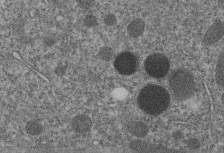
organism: C. elegans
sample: C. elegans embryo early stage